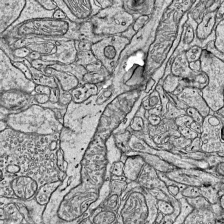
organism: Mouse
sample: Visual Cortex